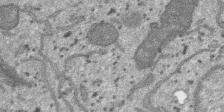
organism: Human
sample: Lung epithelial cells infected with SARS-CoV-2